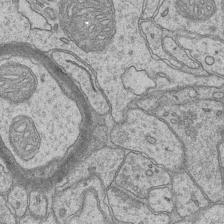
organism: Mouse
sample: CA1 Hippocampus